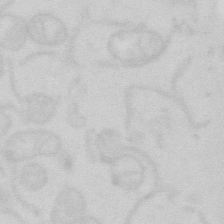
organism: Human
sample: HeLa cells